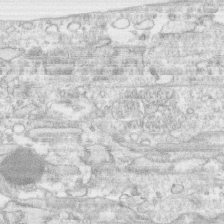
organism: Human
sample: CRL-1474